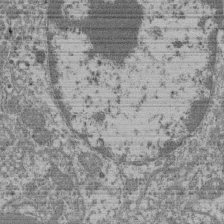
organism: Mouse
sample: Glomerulus